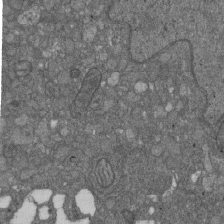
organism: Drosophila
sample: Nephrocyte